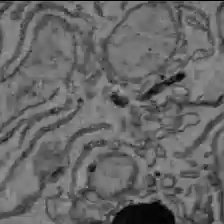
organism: C57BL Mouse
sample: Liver